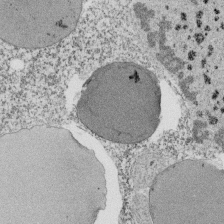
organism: Tetrahymena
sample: Cilia in tetrahymena